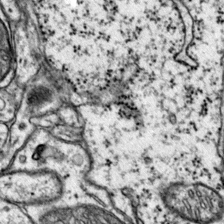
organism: Mouse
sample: Primary visual cortex